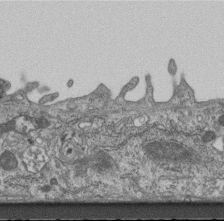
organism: Mouse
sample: Centriole in ependymal cells